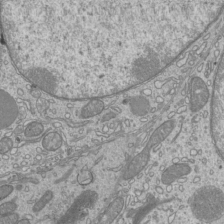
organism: Mouse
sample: Cilia; mouse epididymis